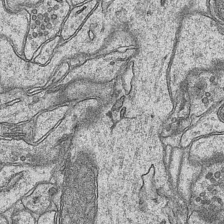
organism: Mouse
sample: CA1 Hippocampus